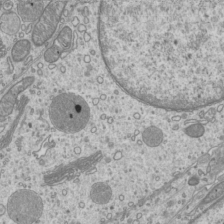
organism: Mouse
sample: Cilia; mouse epididymis